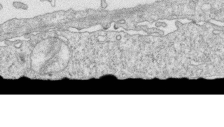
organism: Human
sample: HeLa cell HIV synapse